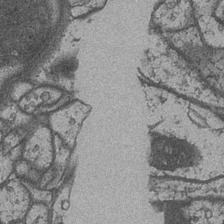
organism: Drosophila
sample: Optic medulla